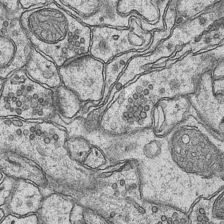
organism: Mouse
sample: CA1 Hippocampus